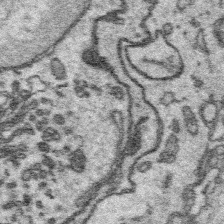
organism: Platynereis dumerilii